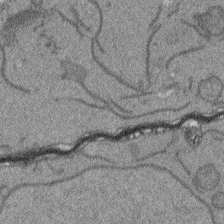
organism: Arabidopsis thaliana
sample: Root tip